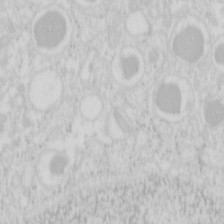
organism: Mouse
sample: Pancreas